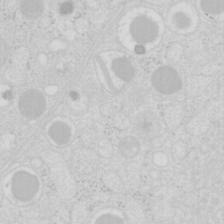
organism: Mouse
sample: Pancreas